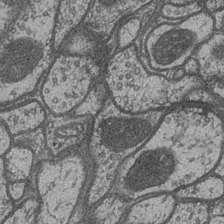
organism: Drosophila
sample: Optic medulla